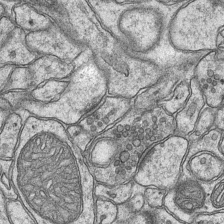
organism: Mouse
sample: CA1 Hippocampus